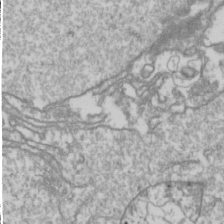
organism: Drosophila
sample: Cell division; meiosis; drosophila spermatocytes